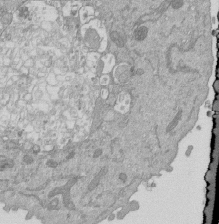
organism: Mouse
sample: ED-1 cell nuclei; centrioles